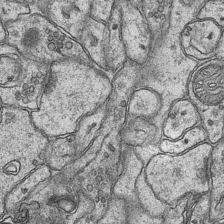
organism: Mouse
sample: CA1 Hippocampus